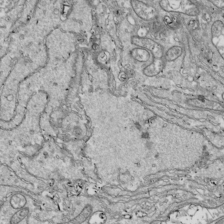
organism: Drosophila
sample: Cell division; meiosis; drosophila spermatocytes